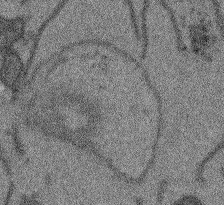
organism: Arabidopsis thaliana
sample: Root tip